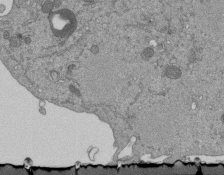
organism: Mouse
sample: ED-1 cell nuclei; centrioles